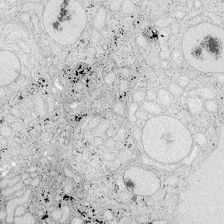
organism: Zebrafish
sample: Whole-Brain